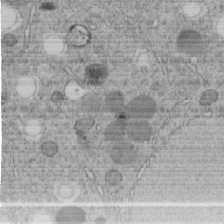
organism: C. elegans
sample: C. elegans embryo early stage